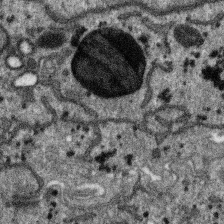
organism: Human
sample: Lung epithelial cells infected with SARS-CoV-2